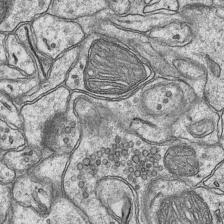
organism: Mouse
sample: CA1 Hippocampus